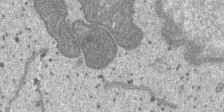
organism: Human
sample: Lung epithelial cells infected with SARS-CoV-2